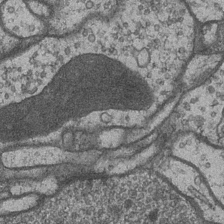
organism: Drosophila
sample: Optic medulla